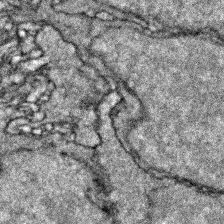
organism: Zebrafish